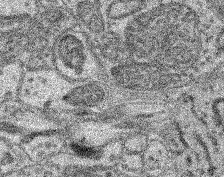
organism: Mouse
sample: Retina